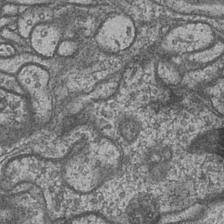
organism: Drosophila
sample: Optic medulla